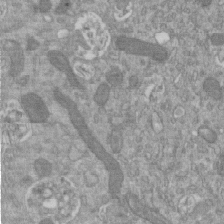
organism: Mouse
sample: ED-1 cell nuclei; centrioles